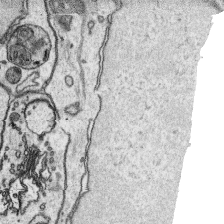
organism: Platynereis dumerilii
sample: Parapodia